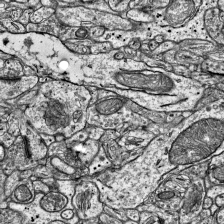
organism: Mouse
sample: Visual Cortex